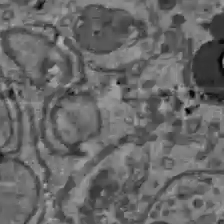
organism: C57BL Mouse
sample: Liver